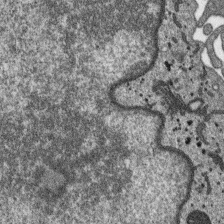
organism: Human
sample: Lung epithelial cells infected with SARS-CoV-2